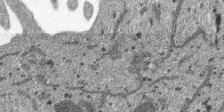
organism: Human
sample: Lung epithelial cells infected with SARS-CoV-2